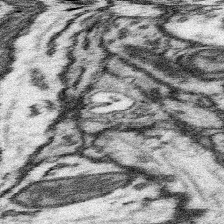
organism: Mouse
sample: Somatosensory cortex neuropil